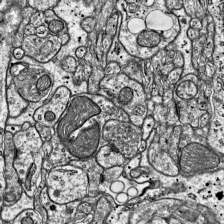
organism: Mouse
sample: Visual Cortex